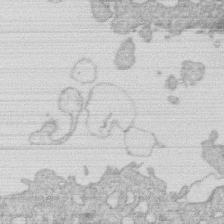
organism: Human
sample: Macrophage cells